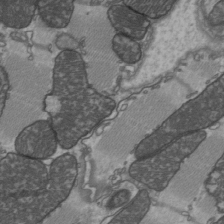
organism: C57BL Mouse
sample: Heart